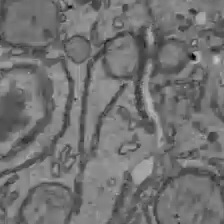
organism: C57BL Mouse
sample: Liver